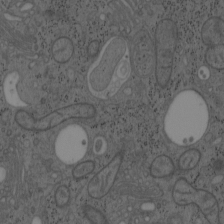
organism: Mouse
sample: OT-I killer T cells with ID8 ovarian cancer cells